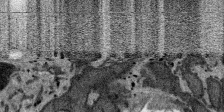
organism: Human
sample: Lung epithelial cells, uninfected (mock) control